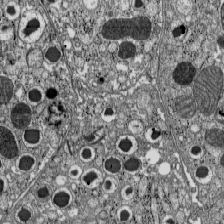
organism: C57BL Mouse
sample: Pancreatic islet